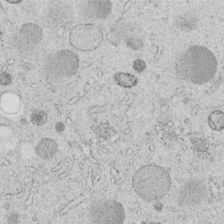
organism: C. elegans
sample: C. elegans embryo early stage